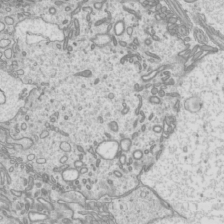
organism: Mouse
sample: Cilia; mouse epididymis